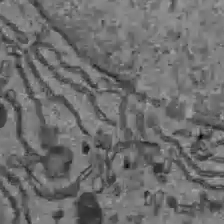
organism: C57BL Mouse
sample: Liver